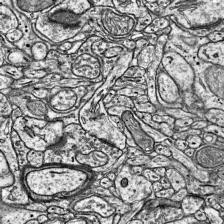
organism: Mouse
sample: Visual Cortex